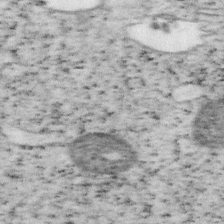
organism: Mouse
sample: OT-I killer T cells with ID8 ovarian cancer cells